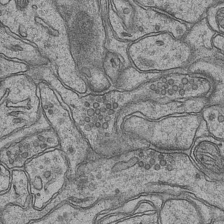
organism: Mouse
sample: CA1 Hippocampus